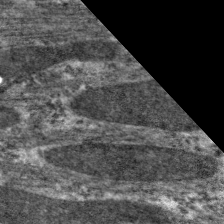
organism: C. elegans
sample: Pharynx